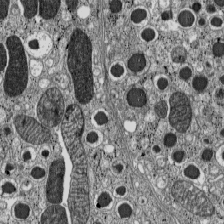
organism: C57BL Mouse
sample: Pancreatic islet